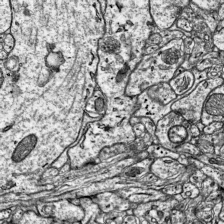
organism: Mouse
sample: Visual Cortex